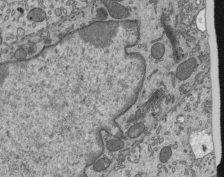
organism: Mouse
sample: Mouse epididymis efferent ductule cilia